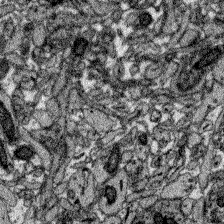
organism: Zebrafish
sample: Larval olfactory bulb